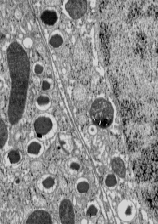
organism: C57BL Mouse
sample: Pancreatic islet